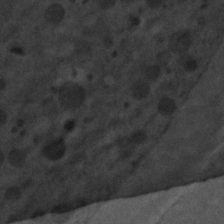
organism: C. elegans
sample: C. elegans embryo